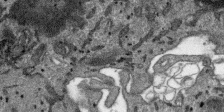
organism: Human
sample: Lung epithelial cells, uninfected (mock) control